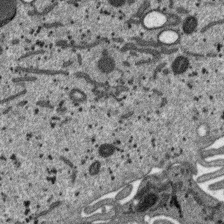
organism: Human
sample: Lung epithelial cells infected with SARS-CoV-2